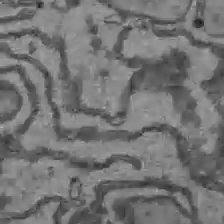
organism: C57BL Mouse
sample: Liver